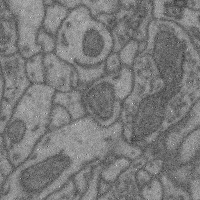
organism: Mouse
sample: Cerebral cortex